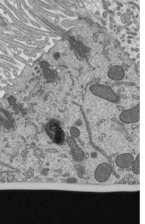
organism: Mouse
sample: Mouse epididymis efferent ductule cilia